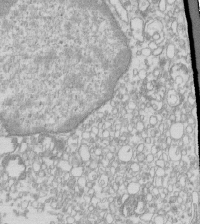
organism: Mouse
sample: Macrophages